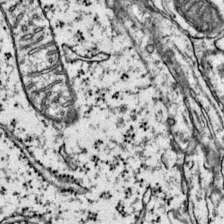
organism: Mouse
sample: Primary visual cortex